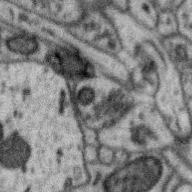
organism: Zebra finch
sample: Brain